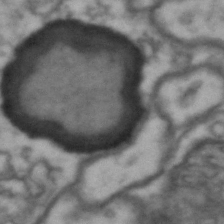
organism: Drosophila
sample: Brain